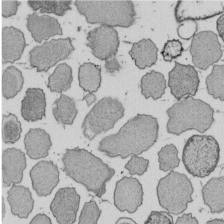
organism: E. coli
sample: Bacterial nucleoid